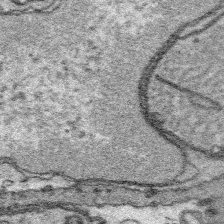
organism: Platynereis dumerilii